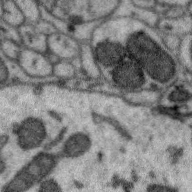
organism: Zebra finch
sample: Brain